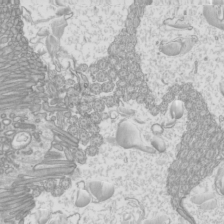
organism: Mouse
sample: Cilia; mouse epididymis